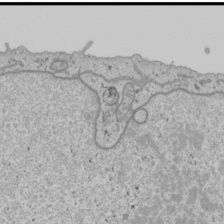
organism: Human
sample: Mitochondria in U2OS cells